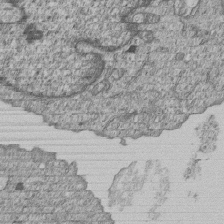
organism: Human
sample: MDA-MB-231 cells